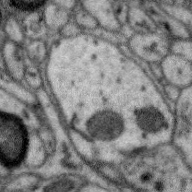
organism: Zebra finch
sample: Brain